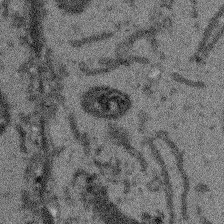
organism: Arabidopsis thaliana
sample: Root tip